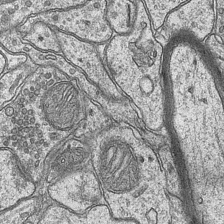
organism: Mouse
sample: CA1 Hippocampus